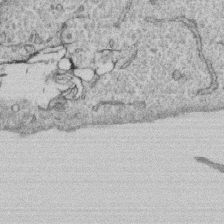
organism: Human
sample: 1205lu cells